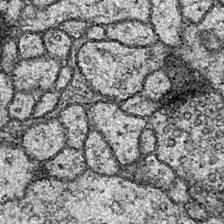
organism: Drosophila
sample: Ventral Nerve Cord